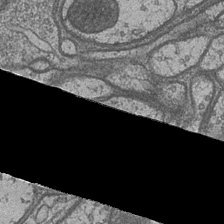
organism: Drosophila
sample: Optic medulla